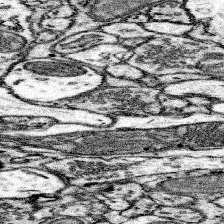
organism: Mouse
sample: Somatosensory cortex neuropil